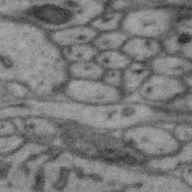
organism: Zebra finch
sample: Brain